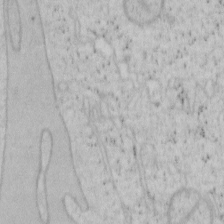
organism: Human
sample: HeLa cells